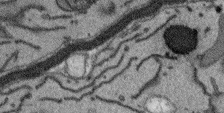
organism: Arabidopsis thaliana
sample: Root tip